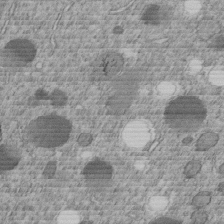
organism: C. elegans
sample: C. elegans embryo early stage